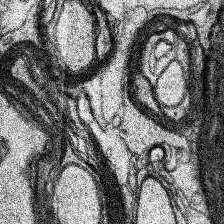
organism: Human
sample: Temporal Lobe